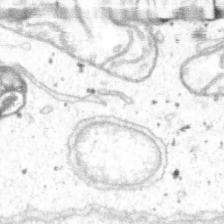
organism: Human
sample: HeLa cells